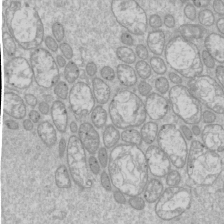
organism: Drosophila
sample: Cell division; meiosis; drosophila spermatocytes